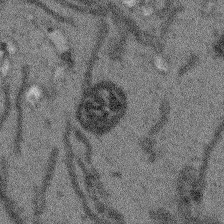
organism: Arabidopsis thaliana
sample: Root tip